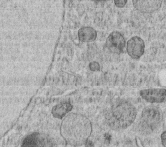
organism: C. elegans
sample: C. elegans embryo early stage